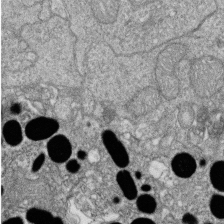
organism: Zebrafish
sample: Cilia; retinal pigment epithelium